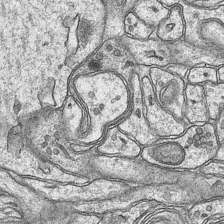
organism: Mouse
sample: CA1 Hippocampus